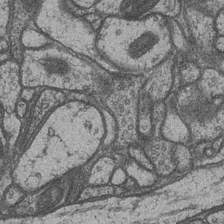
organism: Drosophila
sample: Optic medulla